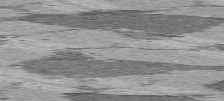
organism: C57BL Mouse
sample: Heart